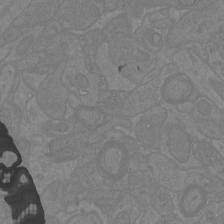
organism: Mouse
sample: Cortical neurons